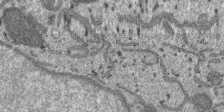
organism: Human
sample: Lung epithelial cells infected with SARS-CoV-2